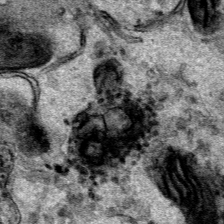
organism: Human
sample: Mitochondria in HCT116 cells